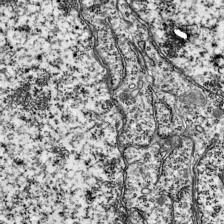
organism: Mouse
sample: Visual Cortex